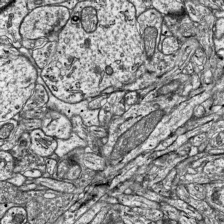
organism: Mouse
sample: Visual Cortex